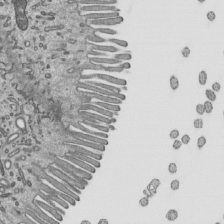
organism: Mouse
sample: Mouse epididymis efferent ductule cilia